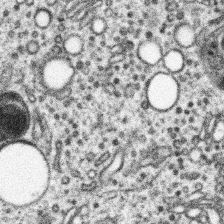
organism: Human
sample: HeLa cells